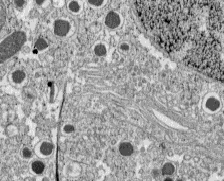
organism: C57BL Mouse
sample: Pancreatic islet